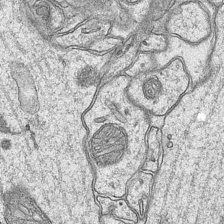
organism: Mouse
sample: CA1 Hippocampus